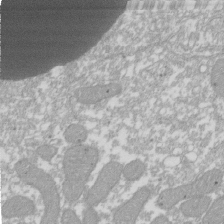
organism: Xenopus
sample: Cilia; centrioles in frog embryo cells